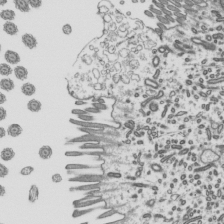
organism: Mouse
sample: Mouse epididymis efferent ductule cilia